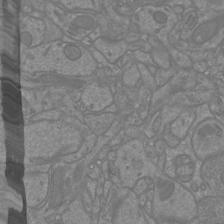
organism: Mouse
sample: Cortical neurons